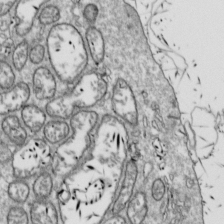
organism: Drosophila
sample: Cell division; meiosis; drosophila spermatocytes